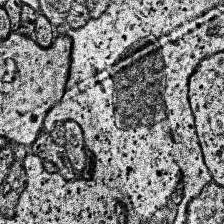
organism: Human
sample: Temporal Lobe